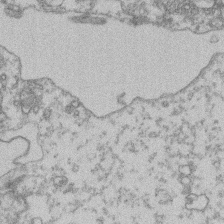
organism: Mouse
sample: T cell stromal cell synapse